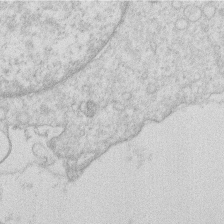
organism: Human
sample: Macrophage cells